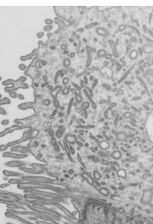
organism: Mouse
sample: Mouse epididymis efferent ductule cilia